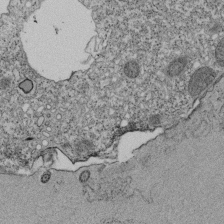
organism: Tetrahymena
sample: Cilia in tetrahymena